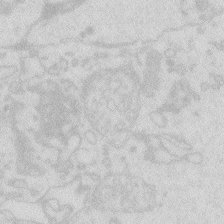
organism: Zebrafish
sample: Macrophage